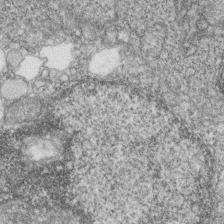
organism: Zebrafish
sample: Cilia; retinal pigment epithelium